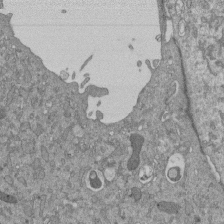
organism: Mouse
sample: ED-1 cell nuclei; centrioles